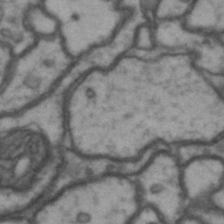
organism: Drosophila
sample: Brain